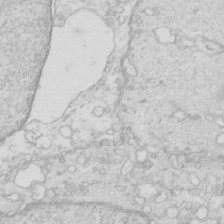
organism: Mouse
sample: Multiciliated cells